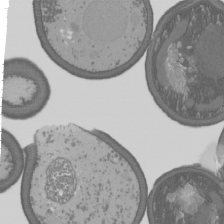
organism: S. cerevisiae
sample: Yeast cells